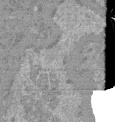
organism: Mouse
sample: Glomerulus